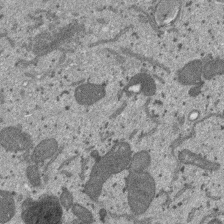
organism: Human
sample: Lung epithelial cells infected with SARS-CoV-2